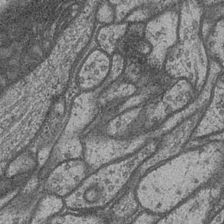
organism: Drosophila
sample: Optic medulla